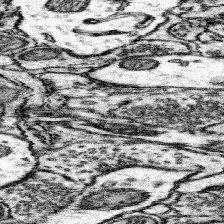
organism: Mouse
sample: Somatosensory cortex neuropil